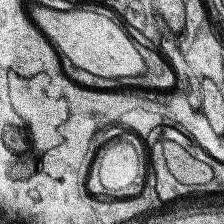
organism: Human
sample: Temporal Lobe